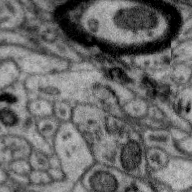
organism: Zebra finch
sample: Brain